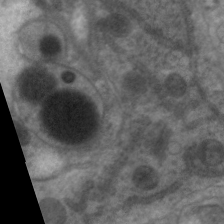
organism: C. elegans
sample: Pharynx